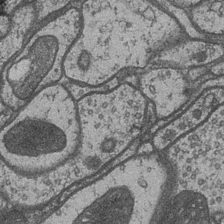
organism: Drosophila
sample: Optic medulla